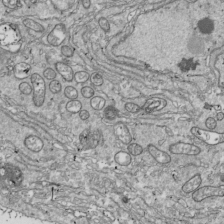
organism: Drosophila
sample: Cell division; meiosis; drosophila spermatocytes